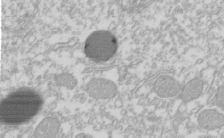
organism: Xenopus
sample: Cilia; centrioles in frog embryo cells